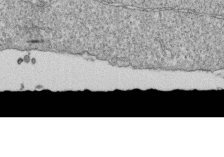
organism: Human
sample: HeLa cell HIV synapse